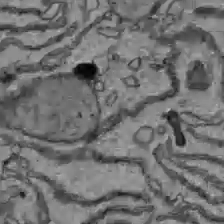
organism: C57BL Mouse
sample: Liver